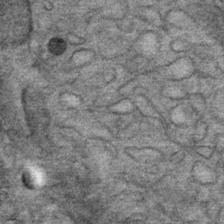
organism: Mouse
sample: Mouse Salivary gland